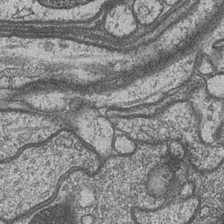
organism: Drosophila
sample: Optic medulla